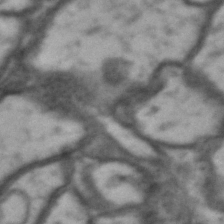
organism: Drosophila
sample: Brain